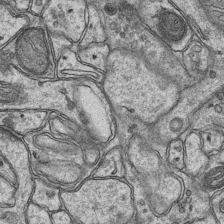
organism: Mouse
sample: CA1 Hippocampus